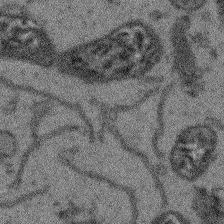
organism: Arabidopsis thaliana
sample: Root tip